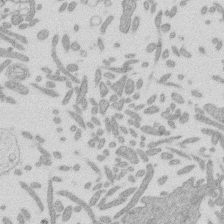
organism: Mouse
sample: Dividing mouse embryo 1 cell stage